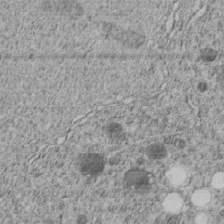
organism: C. elegans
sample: C. elegans embryo early stage